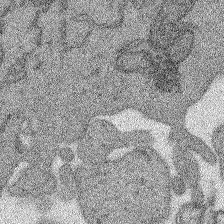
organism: Human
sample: HeLa cells